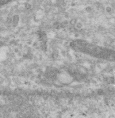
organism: Human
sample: Centriole in RPE cells